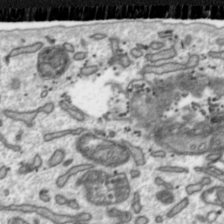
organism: Toxoplasma gondii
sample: Parasites in a vacuole inside a host cell